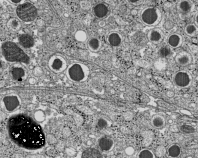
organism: C57BL Mouse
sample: Pancreatic islet